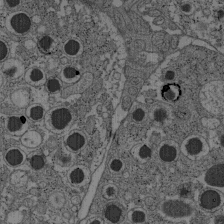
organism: C57BL Mouse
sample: Pancreatic islet